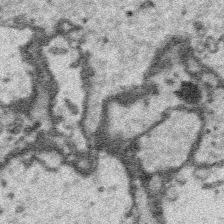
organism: Platynereis dumerilii